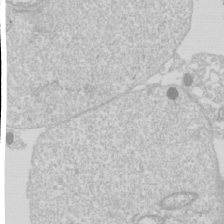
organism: Drosophila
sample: Cell division; meiosis; drosophila spermatocytes